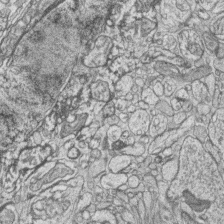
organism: Zebrafish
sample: synaptic ribbons in rod cells and cone cells